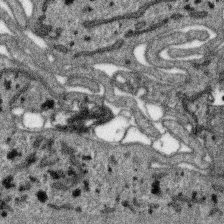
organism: Human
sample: Lung epithelial cells infected with SARS-CoV-2